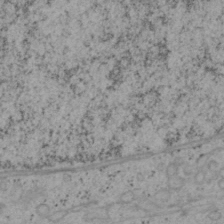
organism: Human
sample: HeLa cells